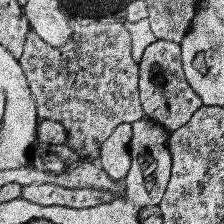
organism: Human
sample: Temporal Lobe